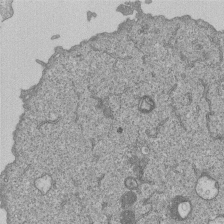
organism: Human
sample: MDA-MB-231 cells